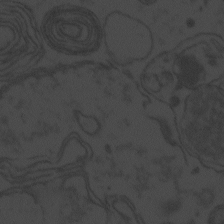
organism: Zebrafish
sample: Macrophage infected with Toxoplasma gondii